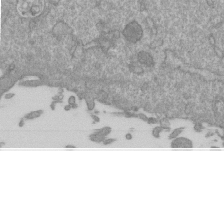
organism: Mouse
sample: ED-1 cell nuclei; centrioles